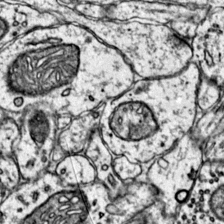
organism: Mouse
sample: Primary visual cortex